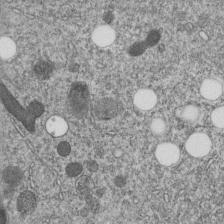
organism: C. elegans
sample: C. elegans embryo early stage